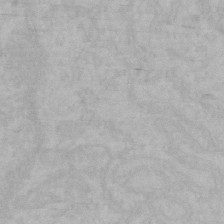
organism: Mouse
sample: Choroid plexus